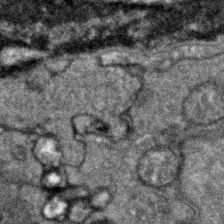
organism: Zebrafish